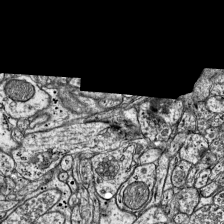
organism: Mouse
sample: Visual Cortex